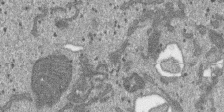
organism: Human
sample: Lung epithelial cells infected with SARS-CoV-2